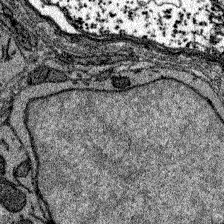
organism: Zebrafish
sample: Larval olfactory bulb